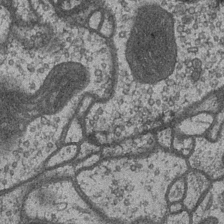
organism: Drosophila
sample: Optic medulla